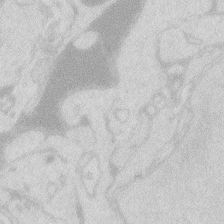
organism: Zebrafish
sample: Macrophage